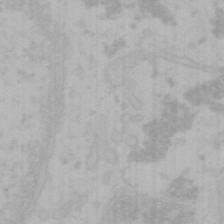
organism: Mouse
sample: Choroid plexus